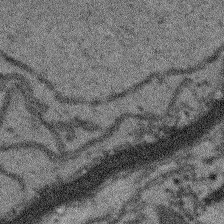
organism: Arabidopsis thaliana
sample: Root tip